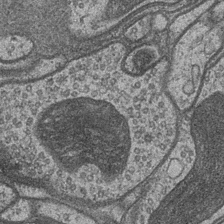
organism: Drosophila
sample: Optic medulla